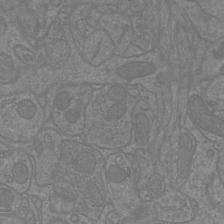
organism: Mouse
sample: Cortical neurons